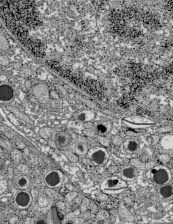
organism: C57BL Mouse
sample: Pancreatic islet